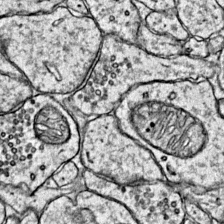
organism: Mouse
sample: Primary visual cortex